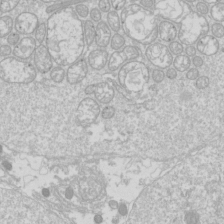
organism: Drosophila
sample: Cell division; meiosis; drosophila spermatocytes